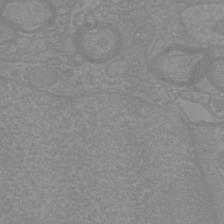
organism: Mouse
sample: Cortical neurons